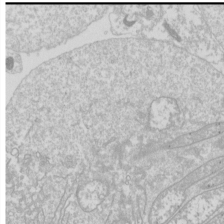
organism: Drosophila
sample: Cell division; meiosis; drosophila spermatocytes